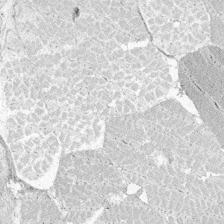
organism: Zebrafish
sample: Whole-Brain